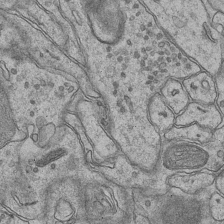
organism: Mouse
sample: CA1 Hippocampus